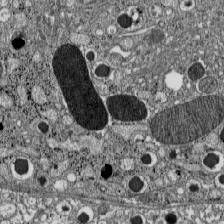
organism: C57BL Mouse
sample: Pancreatic islet